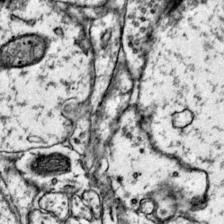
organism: Mouse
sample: Primary visual cortex